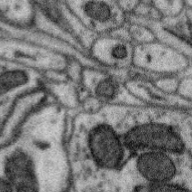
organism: Zebra finch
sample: Brain